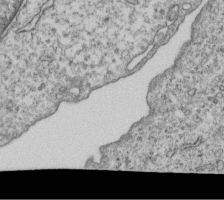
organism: Human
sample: MDA-MB-231 cells